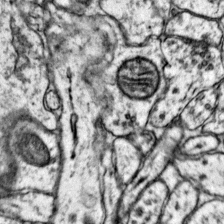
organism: Mouse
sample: Primary visual cortex